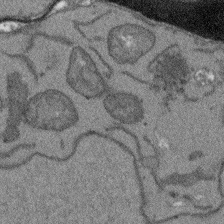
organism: Arabidopsis thaliana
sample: Root tip